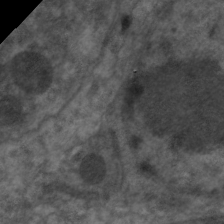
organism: C. elegans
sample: Pharynx